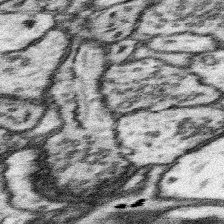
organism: Mouse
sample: Somatosensory cortex neuropil